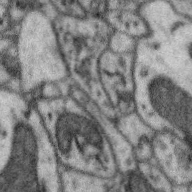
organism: Zebra finch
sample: Brain